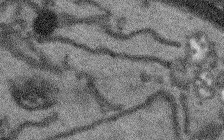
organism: Arabidopsis thaliana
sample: Root tip